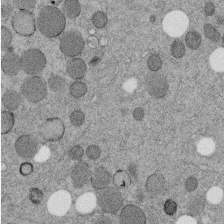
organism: C. elegans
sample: C. elegans embryo early stage